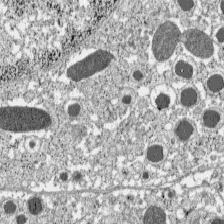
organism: C57BL Mouse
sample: Pancreatic islet